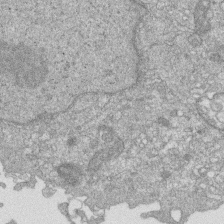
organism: Human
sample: HeLa cell HIV synapse